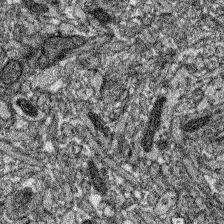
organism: Zebrafish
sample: Larval olfactory bulb